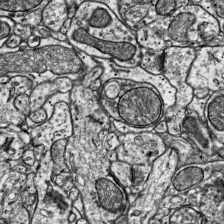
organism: Mouse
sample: Visual Cortex